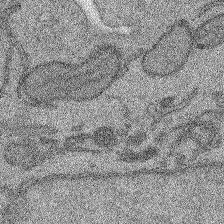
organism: Human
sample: HeLa cells